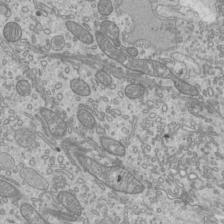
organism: Mouse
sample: Cilia; mouse epididymis